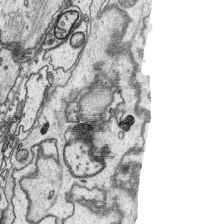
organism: Platynereis dumerilii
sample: Parapodia